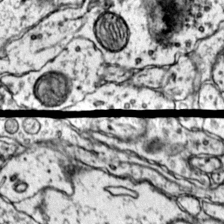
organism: Mouse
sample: Primary visual cortex